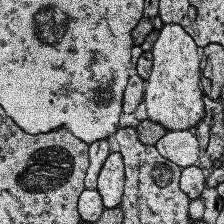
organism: Human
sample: Temporal Lobe